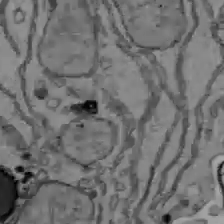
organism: C57BL Mouse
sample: Liver